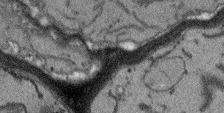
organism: Arabidopsis thaliana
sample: Root tip